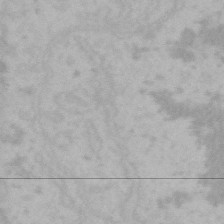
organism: Mouse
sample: Choroid plexus